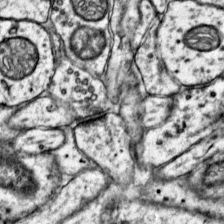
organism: Mouse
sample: Primary visual cortex